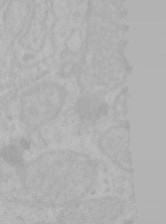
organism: Mouse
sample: Choroid plexus